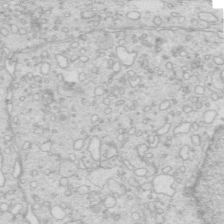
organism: Mouse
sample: Multiciliated cells